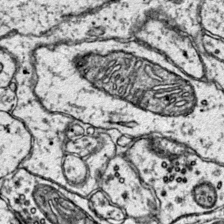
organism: Mouse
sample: Primary visual cortex